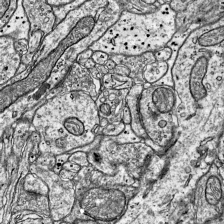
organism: Mouse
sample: Visual Cortex